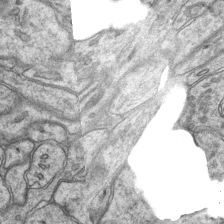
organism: Mouse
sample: CA1 Hippocampus